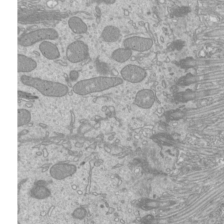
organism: Mouse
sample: Cilia; mouse epididymis